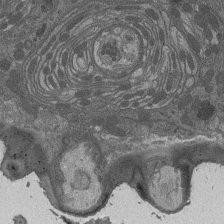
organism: Drosophila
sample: Antenna